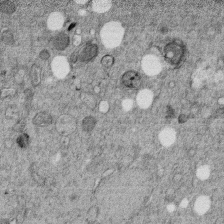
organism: C. elegans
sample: C. elegans embryo early stage